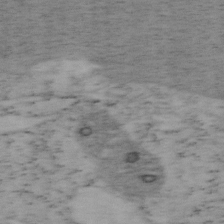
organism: Mouse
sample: OT-I killer T cells with ID8 ovarian cancer cells